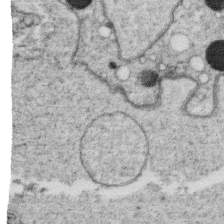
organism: C. elegans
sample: C. elegans oocyte; sperm cells